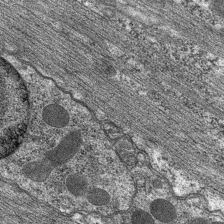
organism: C. elegans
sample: Pharynx